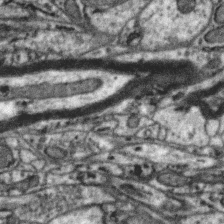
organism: Zebra finch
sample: Brain